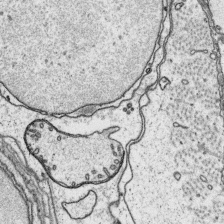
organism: Platynereis dumerilii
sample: Parapodia